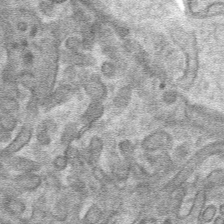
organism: Mouse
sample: Mouse hepatocytes